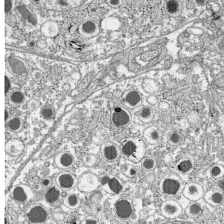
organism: C57BL Mouse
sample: Pancreatic islet